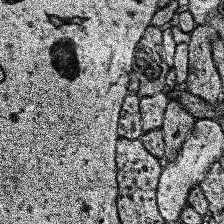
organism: Human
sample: Temporal Lobe